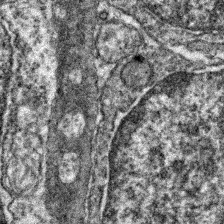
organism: Zebrafish